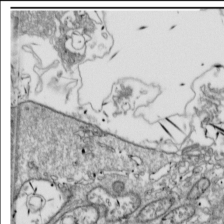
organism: Drosophila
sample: Cell division; meiosis; drosophila spermatocytes